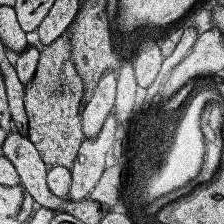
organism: Human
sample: Temporal Lobe